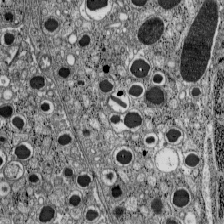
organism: C57BL Mouse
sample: Pancreatic islet